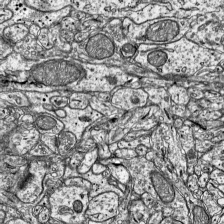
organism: Mouse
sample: Visual Cortex